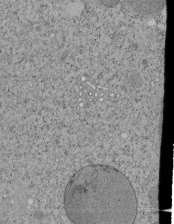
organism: Tetrahymena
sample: Cilia in tetrahymena